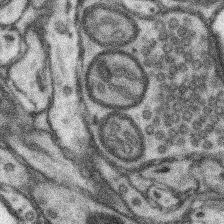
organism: Mouse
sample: Somatosensory cortex neuropil